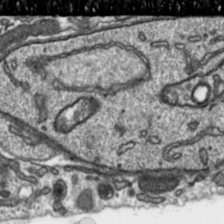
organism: Toxoplasma gondii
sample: Parasites in a vacuole inside a host cell